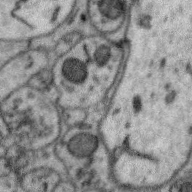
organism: Zebra finch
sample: Brain